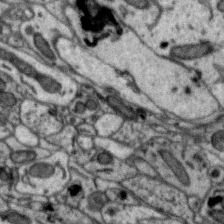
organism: Zebra finch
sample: Brain